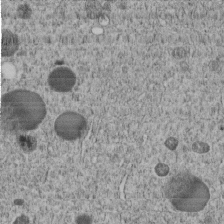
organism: C. elegans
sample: C. elegans embryo early stage